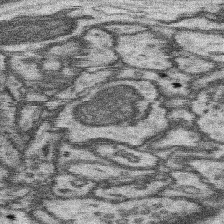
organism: Mouse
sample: Somatosensory cortex neuropil